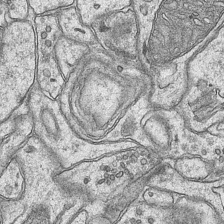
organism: Mouse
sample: CA1 Hippocampus